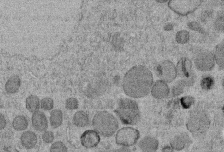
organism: C. elegans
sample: C. elegans embryo early stage